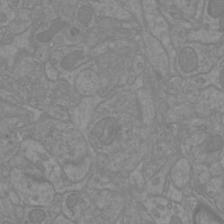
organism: Mouse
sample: Cortical neurons